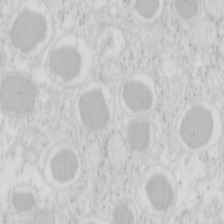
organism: Mouse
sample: Pancreas